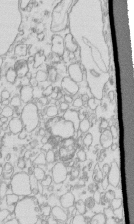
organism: Mouse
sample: Macrophages